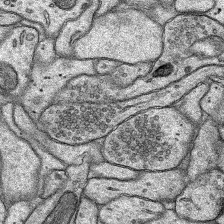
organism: Rat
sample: Hippocampus